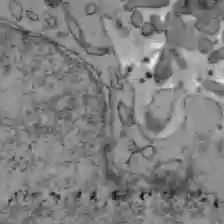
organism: C57BL Mouse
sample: Liver